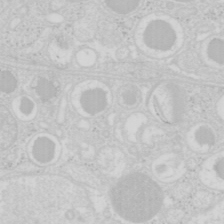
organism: Mouse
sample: Pancreas